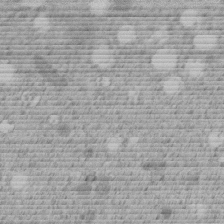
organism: C. elegans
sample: C. elegans embryo early stage